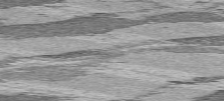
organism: C57BL Mouse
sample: Heart